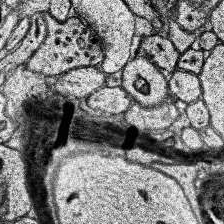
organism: Human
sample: Temporal Lobe